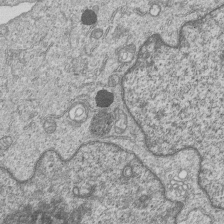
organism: Human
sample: MDA-MB-231 cells